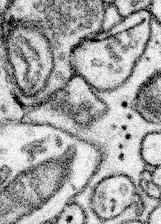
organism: Mouse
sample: Somatosensory cortex neuropil